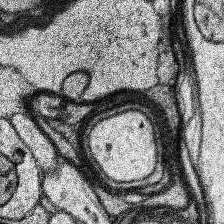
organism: Human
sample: Temporal Lobe